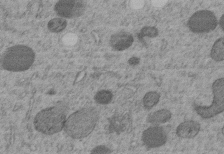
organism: C. elegans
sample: C. elegans embryo early stage